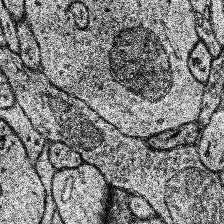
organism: Human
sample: Temporal Lobe